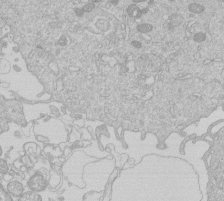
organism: Human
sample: Macrophage cells